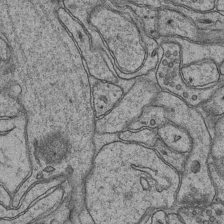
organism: Mouse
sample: CA1 Hippocampus